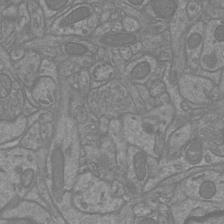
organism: Mouse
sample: Cortical neurons